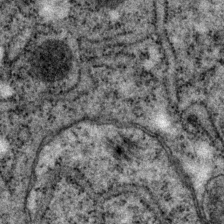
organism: P. pacificus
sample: Pharynx